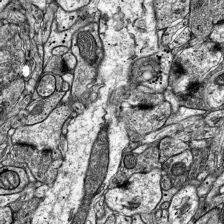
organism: Mouse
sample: Visual Cortex